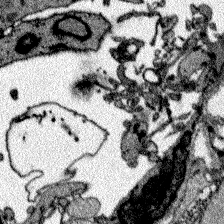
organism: Zebrafish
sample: Larval olfactory bulb